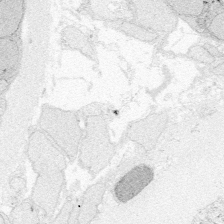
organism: Zebrafish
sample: Whole-Brain